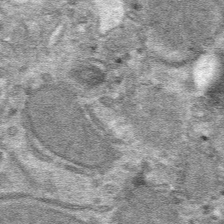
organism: Mouse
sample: Mouse hepatocytes